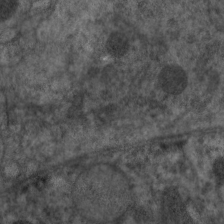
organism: C. elegans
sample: Pharynx